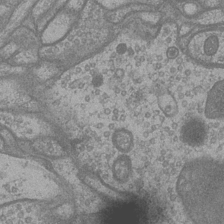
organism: Drosophila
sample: Optic medulla